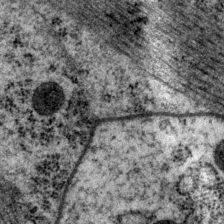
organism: P. pacificus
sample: Pharynx